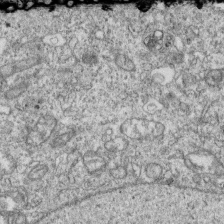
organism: Human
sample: HeLa cell HIV synapse